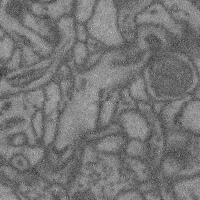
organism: Mouse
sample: Cerebral cortex